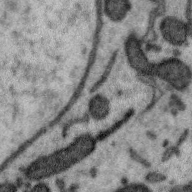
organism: Zebra finch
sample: Brain